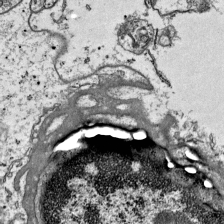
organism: Mouse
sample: Visual Cortex